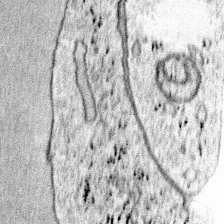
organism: Human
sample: HeLa cells